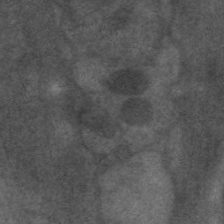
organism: C. elegans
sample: Pharynx